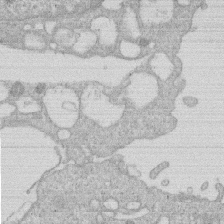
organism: Human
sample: Macrophage cells